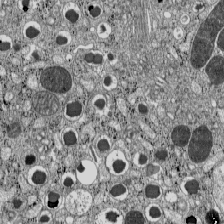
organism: C57BL Mouse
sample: Pancreatic islet